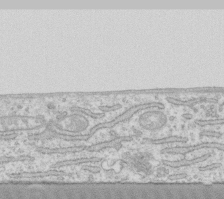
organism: Human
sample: Fibroblast cells